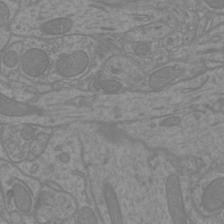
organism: Mouse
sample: Cortical neurons